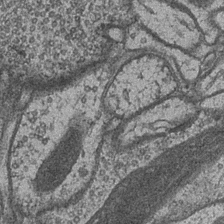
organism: Drosophila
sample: Optic medulla